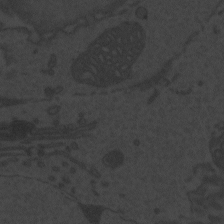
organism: Zebrafish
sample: Macrophage infected with Toxoplasma gondii